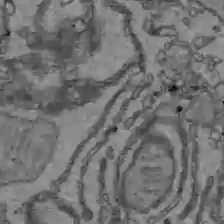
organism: C57BL Mouse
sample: Liver